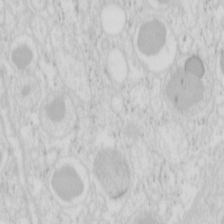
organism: Mouse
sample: Pancreas